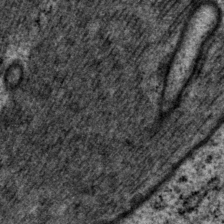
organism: P. pacificus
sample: Pharynx